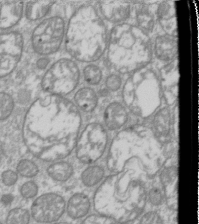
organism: Drosophila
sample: Cell division; meiosis; drosophila spermatocytes